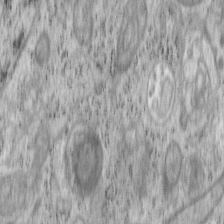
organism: Human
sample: HeLa cells